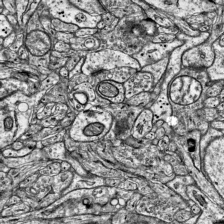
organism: Mouse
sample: Visual Cortex